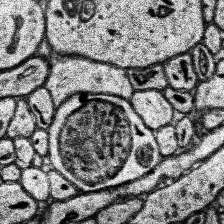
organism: Human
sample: Temporal Lobe